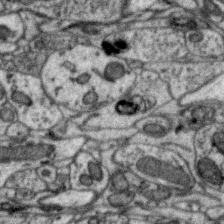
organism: Zebra finch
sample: Brain